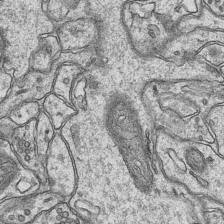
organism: Mouse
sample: CA1 Hippocampus